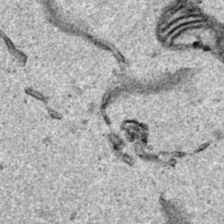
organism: Human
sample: Mitochondria in HCT116 cells